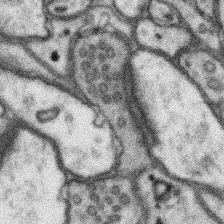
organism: Mouse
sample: Somatosensory cortex neuropil